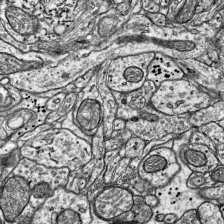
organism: Mouse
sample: Visual Cortex